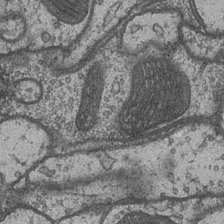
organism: Drosophila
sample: Optic medulla